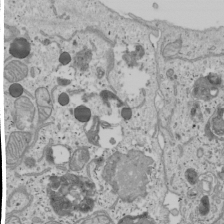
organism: Human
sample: Mitochondria in U2OS cells